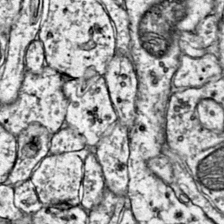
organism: Mouse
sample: Primary visual cortex